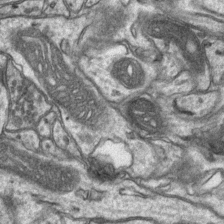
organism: Mouse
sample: CA1 Hippocampus